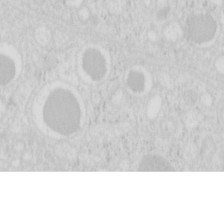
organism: Mouse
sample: Pancreas